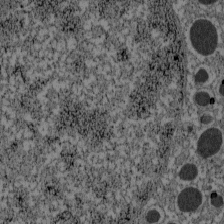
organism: C57BL Mouse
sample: Pancreatic islet